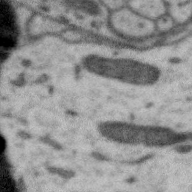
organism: Zebra finch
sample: Brain